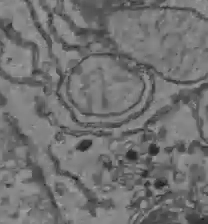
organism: C57BL Mouse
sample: Liver